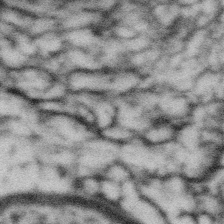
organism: Gemmata obscuriglobus